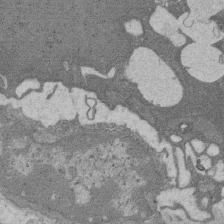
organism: Rat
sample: Salivary granule